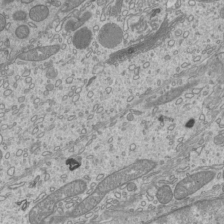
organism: Mouse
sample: Cilia; mouse epididymis